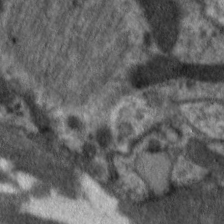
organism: C. elegans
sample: Pharynx